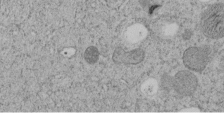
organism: C. elegans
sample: C. elegans embryo early stage